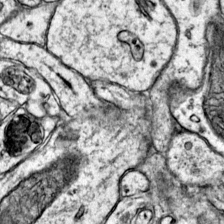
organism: Mouse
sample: Primary visual cortex